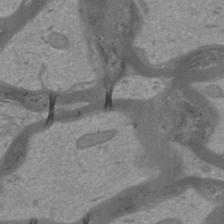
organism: Mouse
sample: Cortical neurons